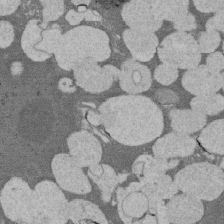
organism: Rat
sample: Salivary granule